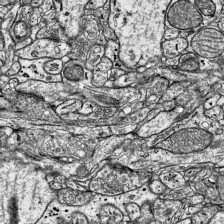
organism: Mouse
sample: Visual Cortex